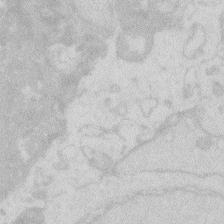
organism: Zebrafish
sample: Macrophage